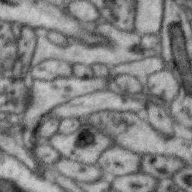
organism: Zebra finch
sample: Brain